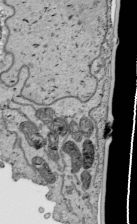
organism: Human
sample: Mitochondria in HCT116 cells